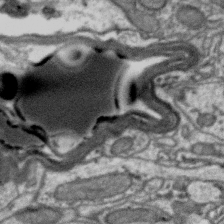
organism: Zebra finch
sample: Brain